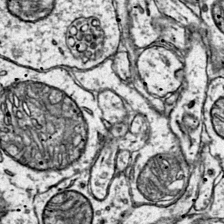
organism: Mouse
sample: Primary visual cortex